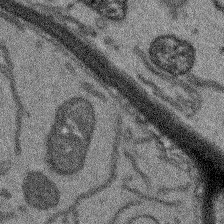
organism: Arabidopsis thaliana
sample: Root tip